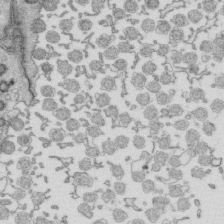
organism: Mouse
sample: Multiciliated cells